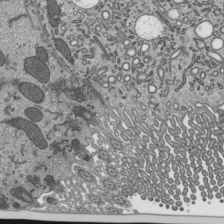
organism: Mouse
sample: Mouse epididymis efferent ductule cilia